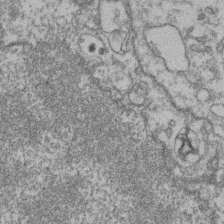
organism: Mouse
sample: T cell stromal cell synapse